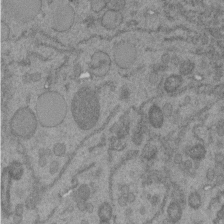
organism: C. elegans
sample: C. elegans embryo early stage